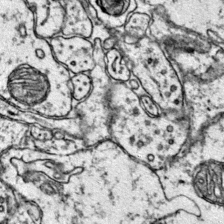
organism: Mouse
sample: Primary visual cortex